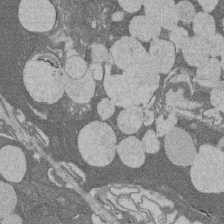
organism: Rat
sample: Salivary granule